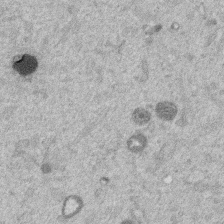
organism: Mouse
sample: Dividing mouse embryo 1 cell stage